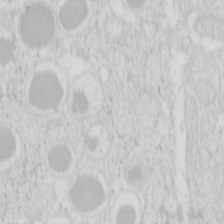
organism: Mouse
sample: Pancreas